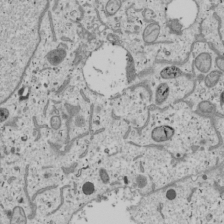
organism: Human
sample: Mitochondria in U2OS cells